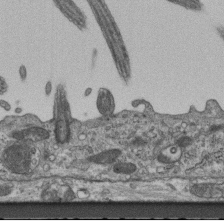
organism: Mouse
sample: Centriole in ependymal cells